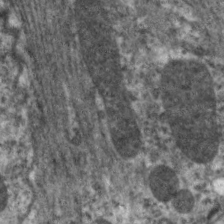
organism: C. elegans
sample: Pharynx